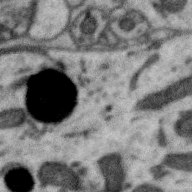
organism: Zebra finch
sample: Brain